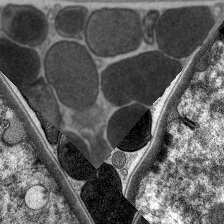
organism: C. elegans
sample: Pharynx